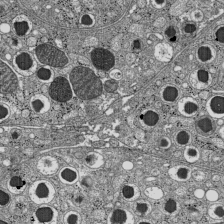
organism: C57BL Mouse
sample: Pancreatic islet